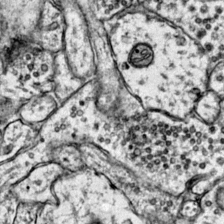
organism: Mouse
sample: Primary visual cortex